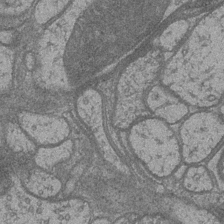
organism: Drosophila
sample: Optic medulla